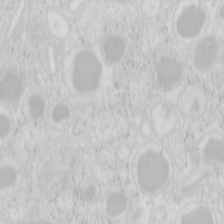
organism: Mouse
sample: Pancreas